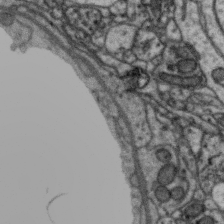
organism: Zebra finch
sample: Brain